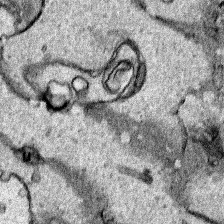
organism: Human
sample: Mitochondria in HCT116 cells